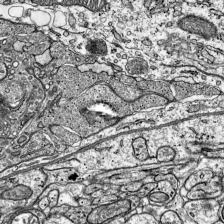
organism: Mouse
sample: Visual Cortex